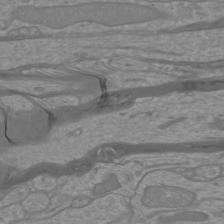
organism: Mouse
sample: Cortical neurons